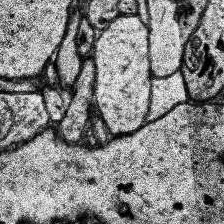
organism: Human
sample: Temporal Lobe